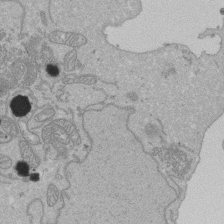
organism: Human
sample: Activated Jurkat CD4+ T cells